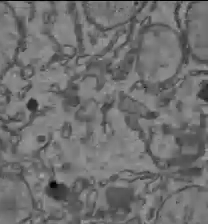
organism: C57BL Mouse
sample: Liver